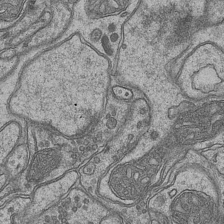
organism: Mouse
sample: CA1 Hippocampus